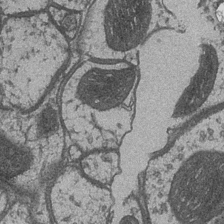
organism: Drosophila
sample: Optic medulla